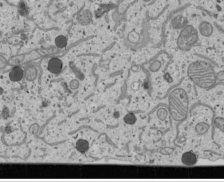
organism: Human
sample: Mitochondria in U2OS cells